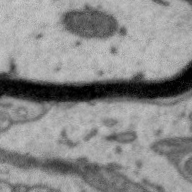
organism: Zebra finch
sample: Brain